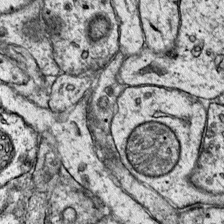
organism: Mouse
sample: Primary visual cortex